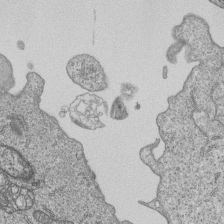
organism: Human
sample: MDA-MB-231 cells